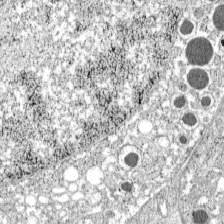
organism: C57BL Mouse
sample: Pancreatic islet